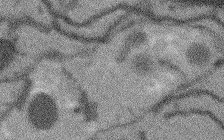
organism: Arabidopsis thaliana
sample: Root tip